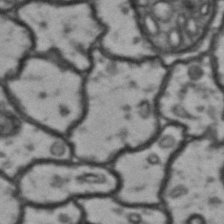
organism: Drosophila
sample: Brain